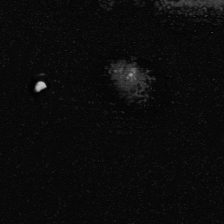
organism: Human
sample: Mitochondria in U2OS cells